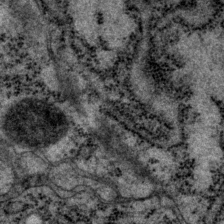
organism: P. pacificus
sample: Pharynx